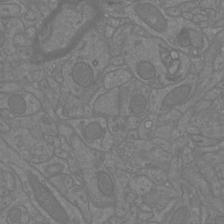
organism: Mouse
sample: Cortical neurons